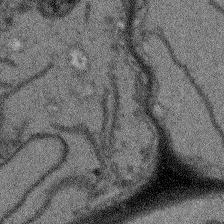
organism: Arabidopsis thaliana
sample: Root tip